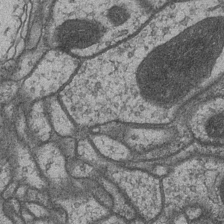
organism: Drosophila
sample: Optic medulla